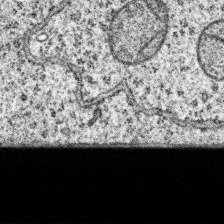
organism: Human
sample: HeLa cells